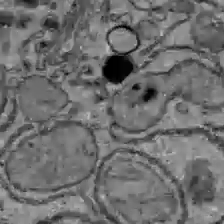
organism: C57BL Mouse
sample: Liver